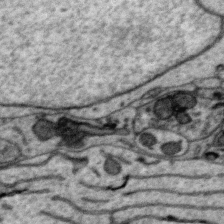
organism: Zebra finch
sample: Brain